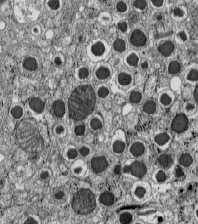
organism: C57BL Mouse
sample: Pancreatic islet